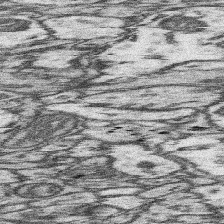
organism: Mouse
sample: Somatosensory cortex neuropil